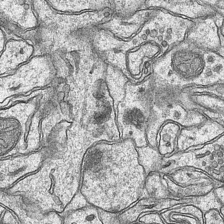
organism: Mouse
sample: CA1 Hippocampus